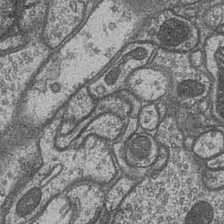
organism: Drosophila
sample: Optic medulla